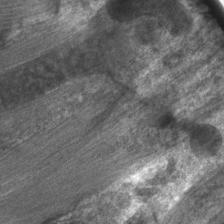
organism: C. elegans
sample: Pharynx